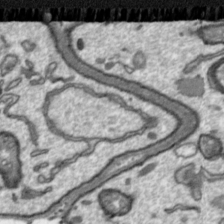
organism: Toxoplasma gondii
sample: Parasites in a vacuole inside a host cell